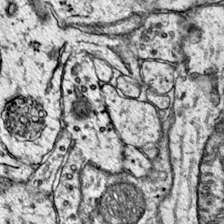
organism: Mouse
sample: Primary visual cortex